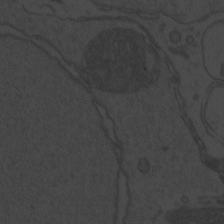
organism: Zebrafish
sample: Macrophage infected with Toxoplasma gondii